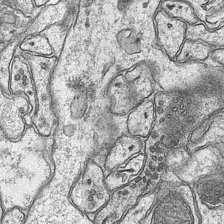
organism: Mouse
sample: CA1 Hippocampus